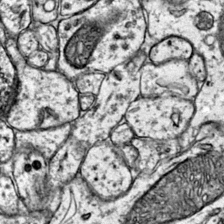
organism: Mouse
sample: Primary visual cortex